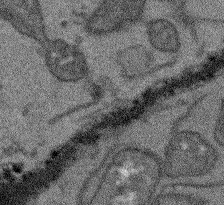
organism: Arabidopsis thaliana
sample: Root tip